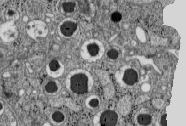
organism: C57BL Mouse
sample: Pancreatic islet